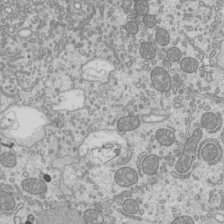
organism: Mouse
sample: Cilia; mouse epididymis